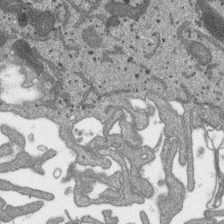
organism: Human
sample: Lung epithelial cells infected with SARS-CoV-2